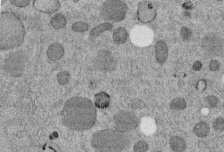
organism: C. elegans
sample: C. elegans embryo early stage